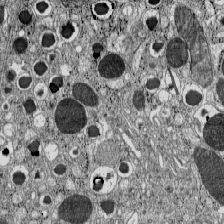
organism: C57BL Mouse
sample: Pancreatic islet